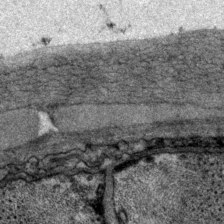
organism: P. pacificus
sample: Pharynx